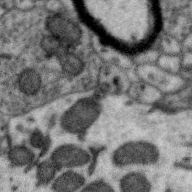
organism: Zebra finch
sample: Brain